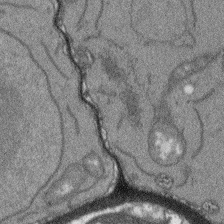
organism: Arabidopsis thaliana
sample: Root tip